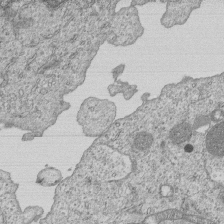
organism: Human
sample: MDA-MB-231 cells